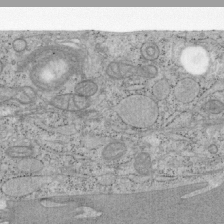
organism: Human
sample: HeLa cells